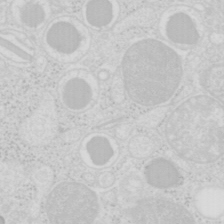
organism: Mouse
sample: Pancreas